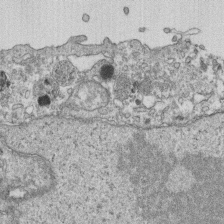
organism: Human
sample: HeLa cell HIV synapse